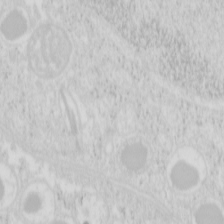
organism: Mouse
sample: Pancreas